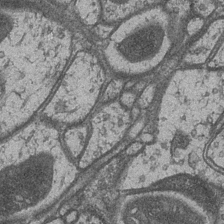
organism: Drosophila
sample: Optic medulla